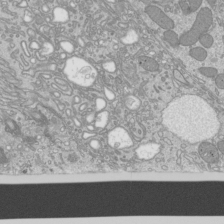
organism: Mouse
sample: Cilia; mouse epididymis